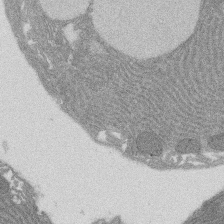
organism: Rat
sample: Salivary granule